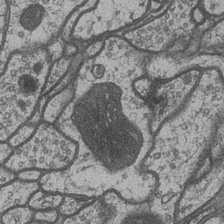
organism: Drosophila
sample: Optic medulla